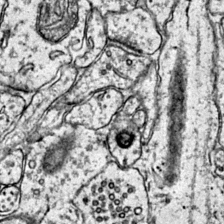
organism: Mouse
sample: Primary visual cortex